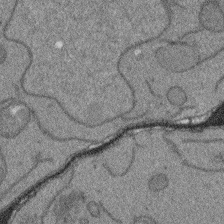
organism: Arabidopsis thaliana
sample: Root tip